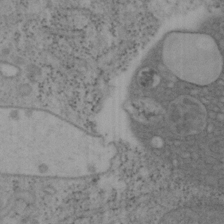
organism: Mouse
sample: OT-I killer T cells with ID8 ovarian cancer cells